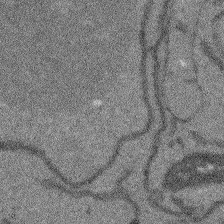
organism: Arabidopsis thaliana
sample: Root tip